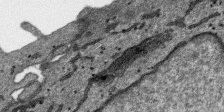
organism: Human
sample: Lung epithelial cells, uninfected (mock) control